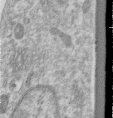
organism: Human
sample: Centriole in RPE cells